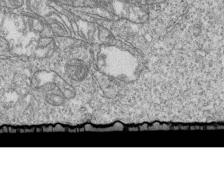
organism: Human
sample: HeLa cell HIV synapse